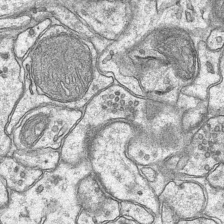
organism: Mouse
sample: CA1 Hippocampus